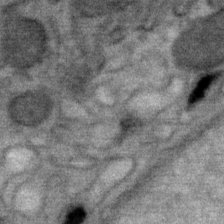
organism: Mouse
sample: Mouse Salivary gland